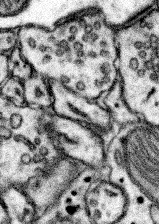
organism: Mouse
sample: Somatosensory cortex neuropil